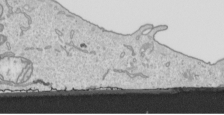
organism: Human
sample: Mitochondria in HCT116 cells